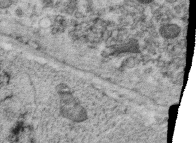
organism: C. elegans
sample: C. elegans oocyte; sperm cells